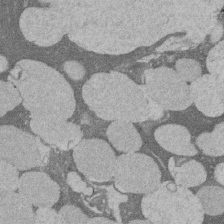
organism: Rat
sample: Salivary granule